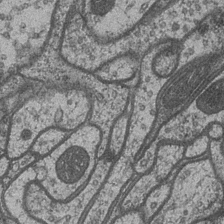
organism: Drosophila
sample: Optic medulla